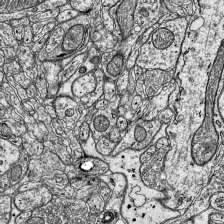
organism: Mouse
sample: Visual Cortex